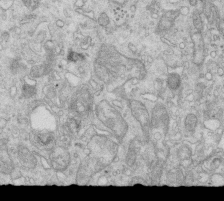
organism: Mouse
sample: Multiciliated cells